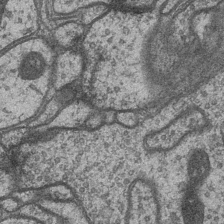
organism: Drosophila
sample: Optic medulla